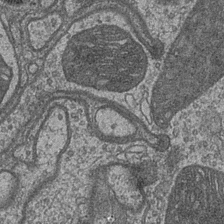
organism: Drosophila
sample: Optic medulla